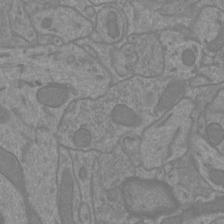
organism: Mouse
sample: Cortical neurons